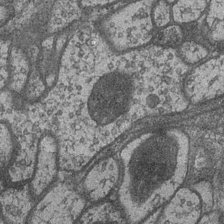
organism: Drosophila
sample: Optic medulla